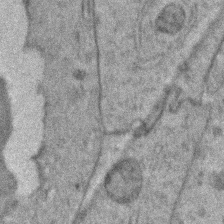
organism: Zebrafish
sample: Zebrafish embryo